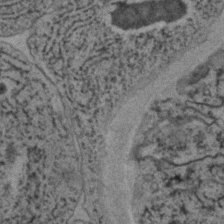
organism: C. elegans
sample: C. elegans embryo